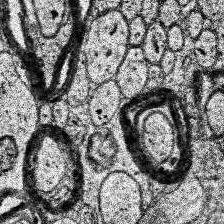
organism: Human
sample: Temporal Lobe